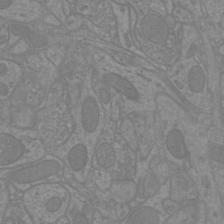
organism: Mouse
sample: Cortical neurons